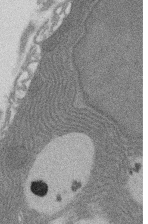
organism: Rat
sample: Salivary granule